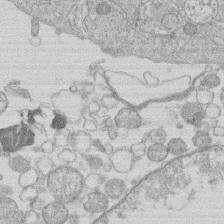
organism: Human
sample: Macrophage cells